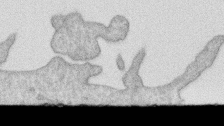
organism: Human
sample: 1205lu cells